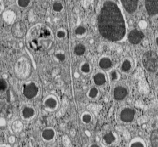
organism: C57BL Mouse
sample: Pancreatic islet